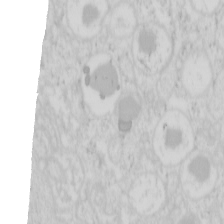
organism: Mouse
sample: Pancreas